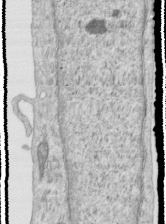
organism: Human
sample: Centriole in RPE cells